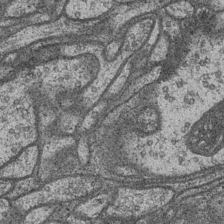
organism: Drosophila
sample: Optic medulla